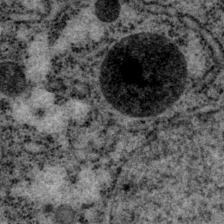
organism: P. pacificus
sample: Pharynx